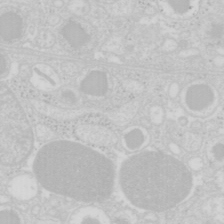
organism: Mouse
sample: Pancreas